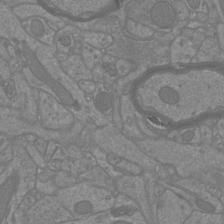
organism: Mouse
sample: Cortical neurons